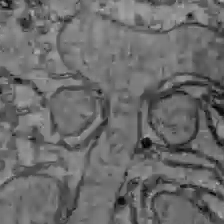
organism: C57BL Mouse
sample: Liver